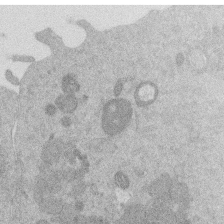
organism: Mouse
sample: Dividing mouse embryo 1 cell stage